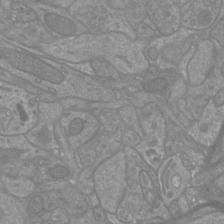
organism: Mouse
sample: Cortical neurons